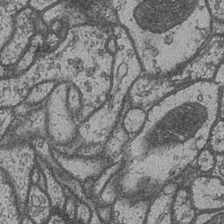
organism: Drosophila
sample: Optic medulla